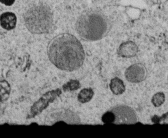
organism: C. elegans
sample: C. elegans embryo early stage